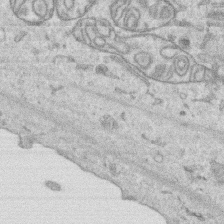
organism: Human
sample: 1205lu cells